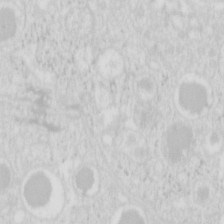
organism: Mouse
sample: Pancreas